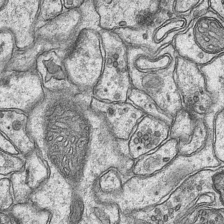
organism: Mouse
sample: CA1 Hippocampus